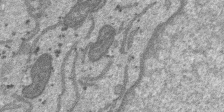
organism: Human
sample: Lung epithelial cells infected with SARS-CoV-2